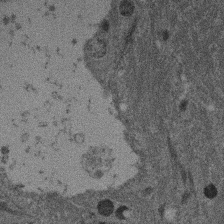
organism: Mouse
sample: Dividing mouse embryo 1 cell stage